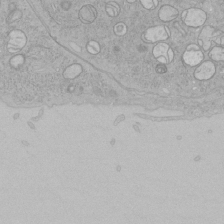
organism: Human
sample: Mitochondria in HCT116 cells